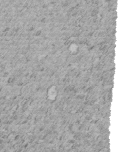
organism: C. elegans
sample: C. elegans embryo early stage